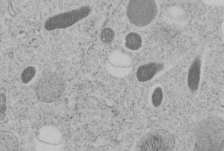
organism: C. elegans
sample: C. elegans embryo early stage